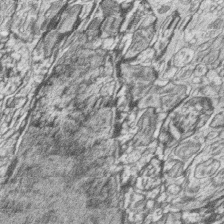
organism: Zebrafish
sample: synaptic ribbons in rod cells and cone cells